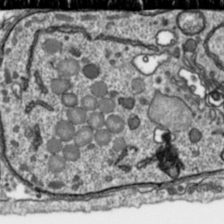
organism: Toxoplasma gondii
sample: Parasites in a vacuole inside a host cell